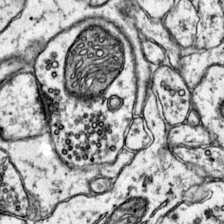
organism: Mouse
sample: Primary visual cortex